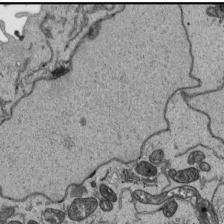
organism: Human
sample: Mitochondria in HCT116 cells